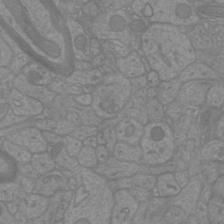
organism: Mouse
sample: Cortical neurons